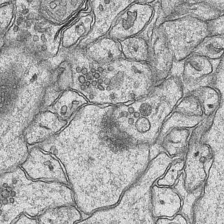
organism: Mouse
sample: CA1 Hippocampus